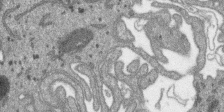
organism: Human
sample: Lung epithelial cells infected with SARS-CoV-2